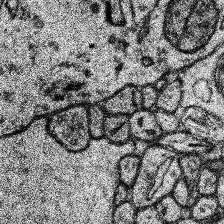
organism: Human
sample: Temporal Lobe